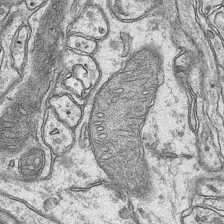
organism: Mouse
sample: CA1 Hippocampus